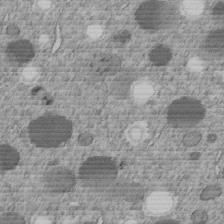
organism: C. elegans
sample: C. elegans embryo early stage